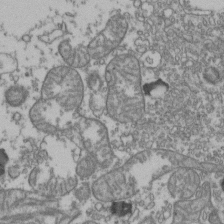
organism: Human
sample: Activated Jurkat CD4+ T cells